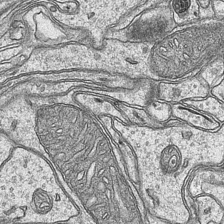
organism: Mouse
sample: CA1 Hippocampus